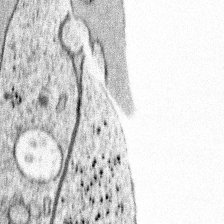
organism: Human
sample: HeLa cells